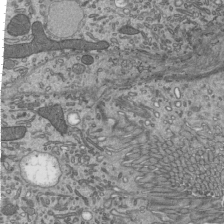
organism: Mouse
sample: Mouse epididymis efferent ductule cilia